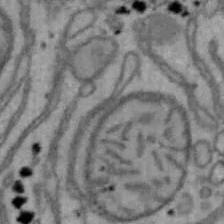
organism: Mouse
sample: Liver